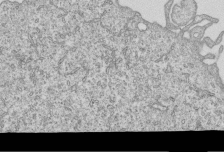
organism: Human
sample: MDA-MB-231 cells